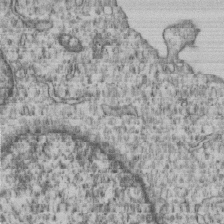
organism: Human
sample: MDA-MB-231 cells